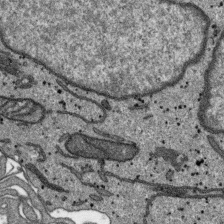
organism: Human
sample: Lung epithelial cells, uninfected (mock) control